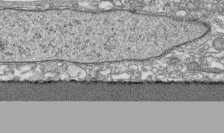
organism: Human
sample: CRL-1474